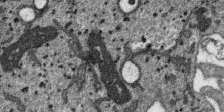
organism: Human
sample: Lung epithelial cells infected with SARS-CoV-2